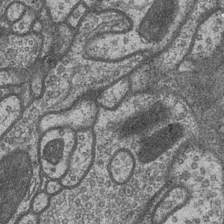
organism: Drosophila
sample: Optic medulla